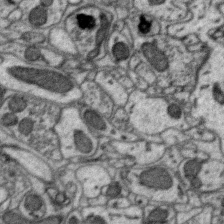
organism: Zebra finch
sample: Brain